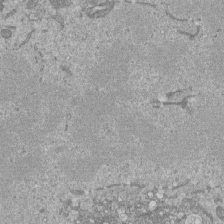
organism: Mouse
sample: ED-1 cell nuclei; centrioles